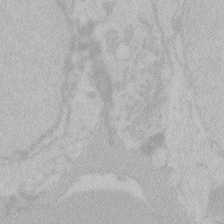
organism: Zebrafish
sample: Macrophage infected with Toxoplasma gondii